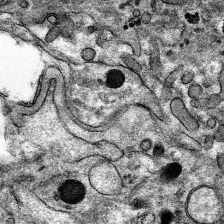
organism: Mouse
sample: Mouse hepatocytes